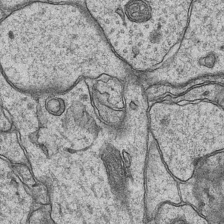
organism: Mouse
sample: CA1 Hippocampus